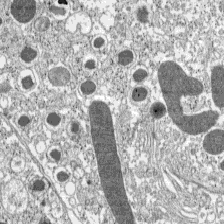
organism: C57BL Mouse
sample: Pancreatic islet